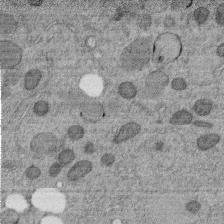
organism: C. elegans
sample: C. elegans embryo early stage